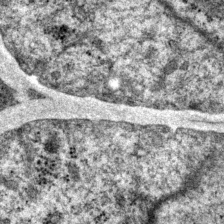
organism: P. pacificus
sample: Pharynx